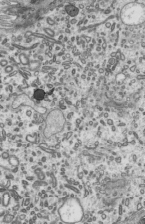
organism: Mouse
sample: Mouse epididymis efferent ductule cilia